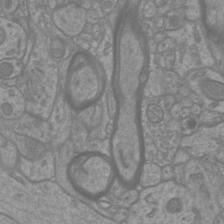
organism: Mouse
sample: Cortical neurons